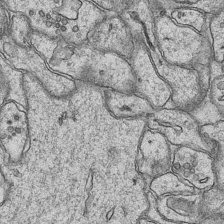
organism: Mouse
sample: CA1 Hippocampus